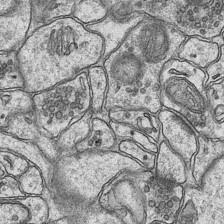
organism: Mouse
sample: CA1 Hippocampus